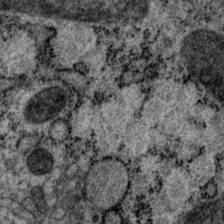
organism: P. pacificus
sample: Pharynx